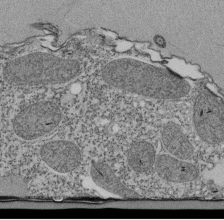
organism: Tetrahymena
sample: Cilia in tetrahymena